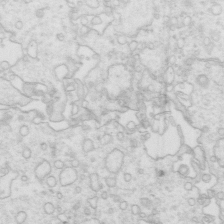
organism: Mouse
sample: Multiciliated cells